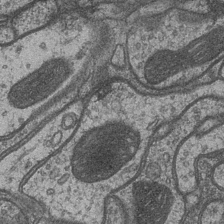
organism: Drosophila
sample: Optic medulla